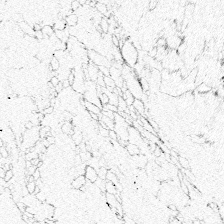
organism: Zebrafish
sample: Whole-Brain